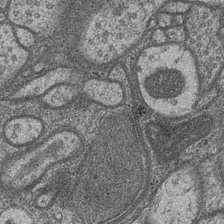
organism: Drosophila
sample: Optic medulla